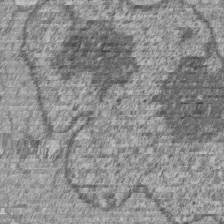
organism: Human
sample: MDA-MB-231 cells